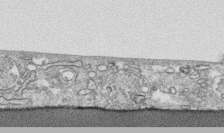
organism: Human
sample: CRL-1474